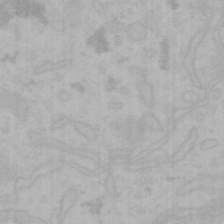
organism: Mouse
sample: Choroid plexus